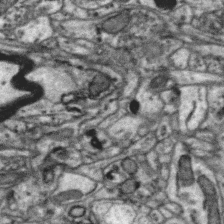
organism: Zebra finch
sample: Brain